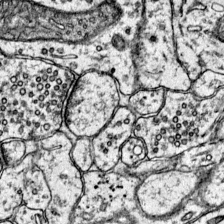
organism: Mouse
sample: Primary visual cortex